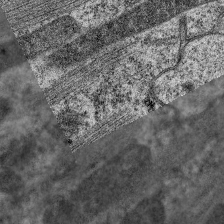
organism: C. elegans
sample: Pharynx